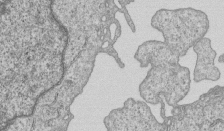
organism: Human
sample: MDA-MB-231 cells